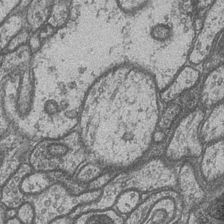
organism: Drosophila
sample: Optic medulla